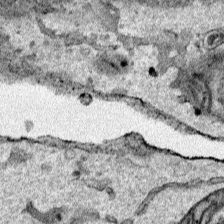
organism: Human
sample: Mitochondria in HCT116 cells